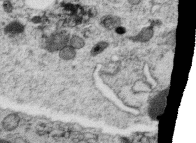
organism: C. elegans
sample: C. elegans oocyte; sperm cells